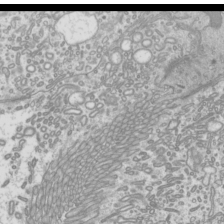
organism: Mouse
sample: Cilia; mouse epididymis